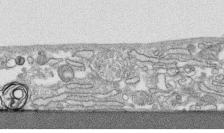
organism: Human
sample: CRL-1474